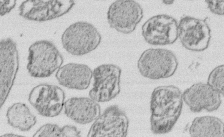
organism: E. coli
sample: Bacterial nucleoid